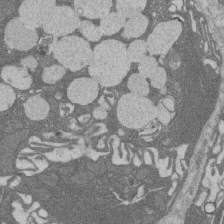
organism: Rat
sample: Salivary granule